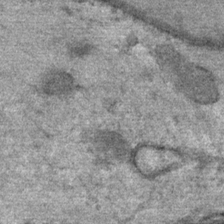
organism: Mouse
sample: Mouse Salivary gland